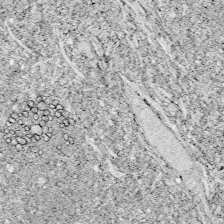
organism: Zebrafish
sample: Whole-Brain